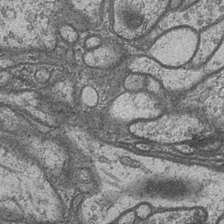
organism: Drosophila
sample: Optic medulla